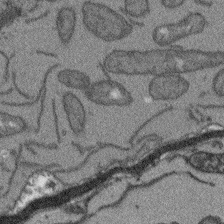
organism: Arabidopsis thaliana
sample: Root tip